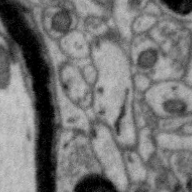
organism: Zebra finch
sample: Brain